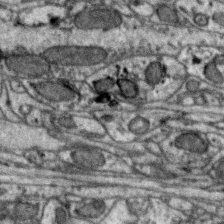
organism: Zebra finch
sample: Brain